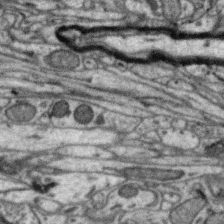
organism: Zebra finch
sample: Brain